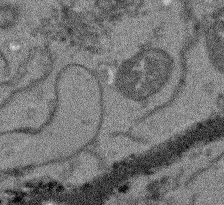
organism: Arabidopsis thaliana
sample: Root tip